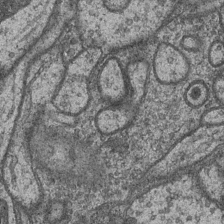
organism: Drosophila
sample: Optic medulla